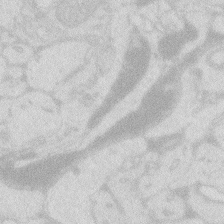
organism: Zebrafish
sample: Macrophage